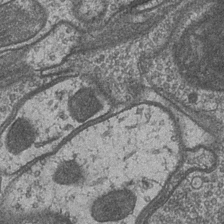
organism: Drosophila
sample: Optic medulla